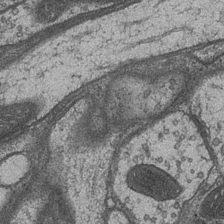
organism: Drosophila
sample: Optic medulla